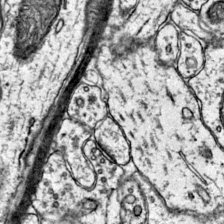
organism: Mouse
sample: Primary visual cortex